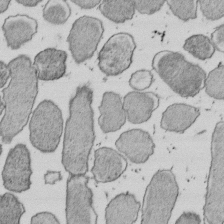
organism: E. coli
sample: Bacterial nucleoid